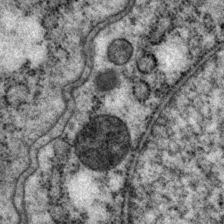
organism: P. pacificus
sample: Pharynx